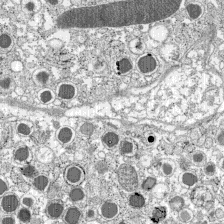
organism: C57BL Mouse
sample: Pancreatic islet